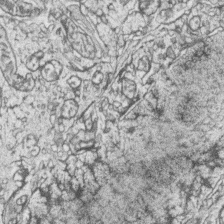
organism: Zebrafish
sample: synaptic ribbons in rod cells and cone cells